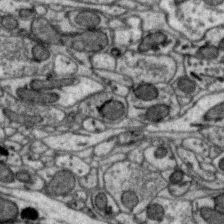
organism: Zebra finch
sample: Brain